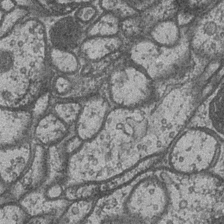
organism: Drosophila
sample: Optic medulla